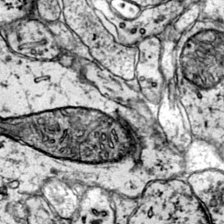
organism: Mouse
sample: Primary visual cortex